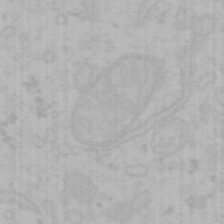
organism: Mouse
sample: Choroid plexus